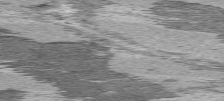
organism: C57BL Mouse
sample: Heart